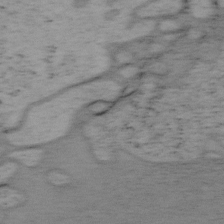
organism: Mouse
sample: OT-I killer T cells with ID8 ovarian cancer cells